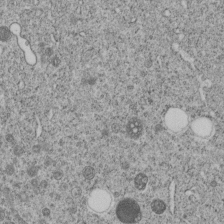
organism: C. elegans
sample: C. elegans embryo early stage